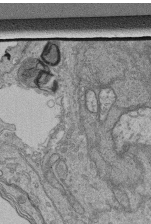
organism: Human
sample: Retinal organoid Rod and Cone cells